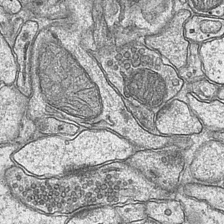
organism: Mouse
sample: CA1 Hippocampus